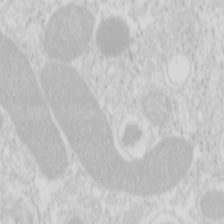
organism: Mouse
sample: Pancreas